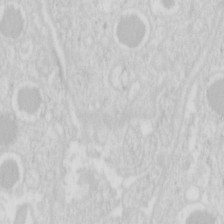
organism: Mouse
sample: Pancreas